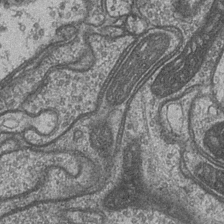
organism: Drosophila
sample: Optic medulla